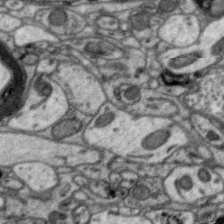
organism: Zebra finch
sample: Brain